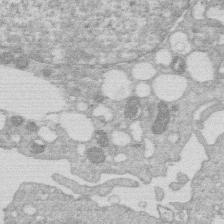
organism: Human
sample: Macrophage cells